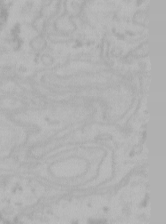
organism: Mouse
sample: Choroid plexus